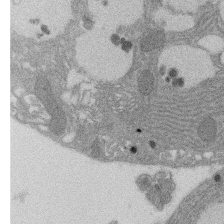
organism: Rat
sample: Salivary granule